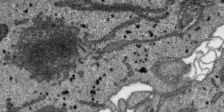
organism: Human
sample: Lung epithelial cells, uninfected (mock) control